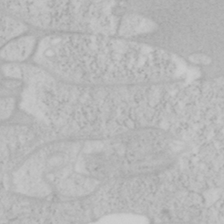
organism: Mouse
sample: OT-I killer T cells with ID8 ovarian cancer cells